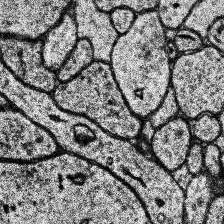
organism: Human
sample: Temporal Lobe